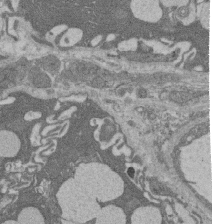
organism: Rat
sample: Salivary granule